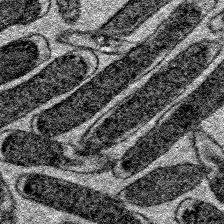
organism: E. coli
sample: E. Coli Bacteria